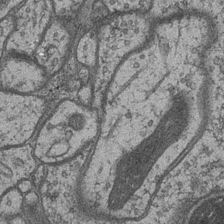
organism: Drosophila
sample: Optic medulla